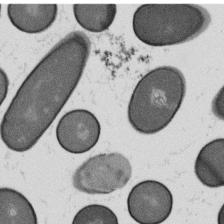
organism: B. subtilis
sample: Bacterial spore